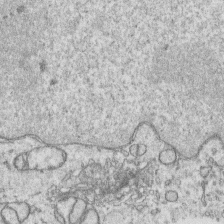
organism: Human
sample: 1205lu cells